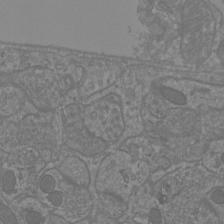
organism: Mouse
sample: Cortical neurons